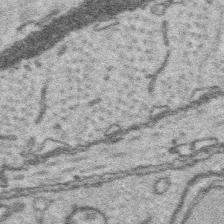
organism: Platynereis dumerilii